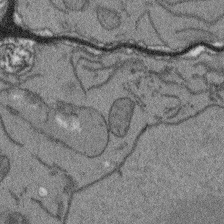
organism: Arabidopsis thaliana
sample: Root tip